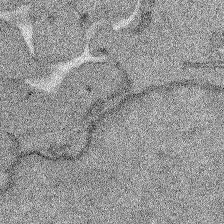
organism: Human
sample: HeLa cells